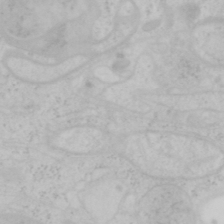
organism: Mouse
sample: OT-I killer T cells with ID8 ovarian cancer cells